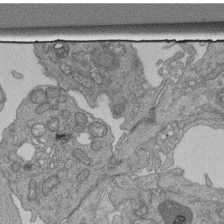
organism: Human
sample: Retinal organoid Rod and Cone cells